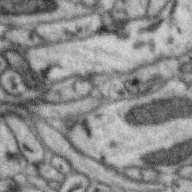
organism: Zebra finch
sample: Brain